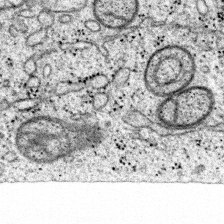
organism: Human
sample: HeLa cells